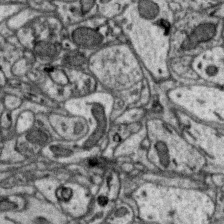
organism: Zebra finch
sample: Brain